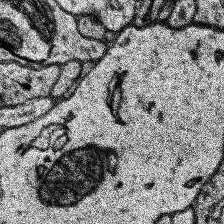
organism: Human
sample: Temporal Lobe